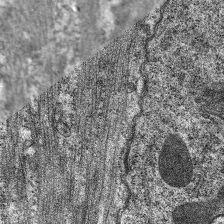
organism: C. elegans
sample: Pharynx